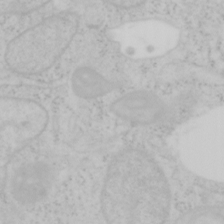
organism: Mouse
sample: OT-I killer T cells with ID8 ovarian cancer cells